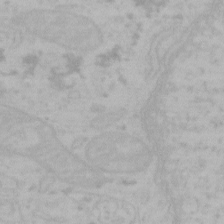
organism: Mouse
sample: Choroid plexus